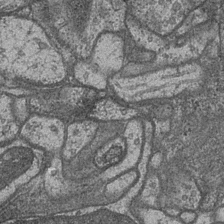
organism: Drosophila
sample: Optic medulla